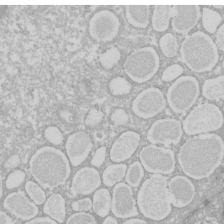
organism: Xenopus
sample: Cilia; centrioles in frog embryo cells